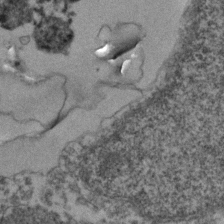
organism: Zebrafish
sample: Zebrafish embryo